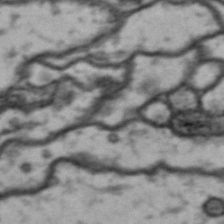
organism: Drosophila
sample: Brain